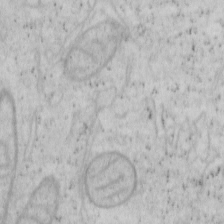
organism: Human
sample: HeLa cells